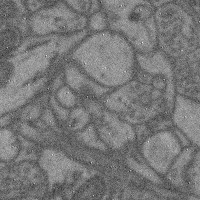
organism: Mouse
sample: Cerebral cortex